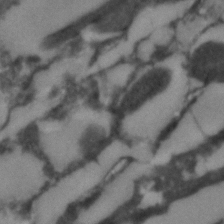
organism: C. elegans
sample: C. elegans embryo